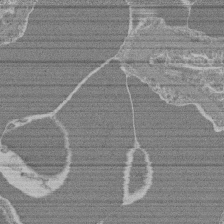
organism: Mouse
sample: Glomerulus